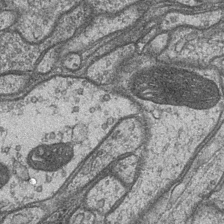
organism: Drosophila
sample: Optic medulla